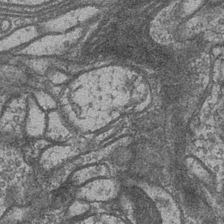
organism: Drosophila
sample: Optic medulla